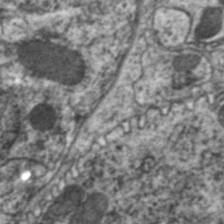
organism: C. elegans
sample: Pharynx